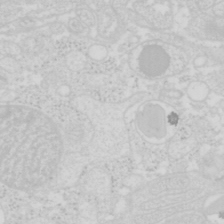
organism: Mouse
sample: Pancreas